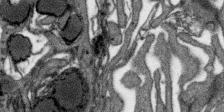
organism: Human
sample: Lung epithelial cells, uninfected (mock) control